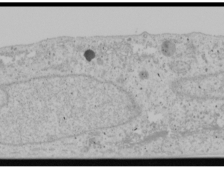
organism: Human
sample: Mitochondria in U2OS cells